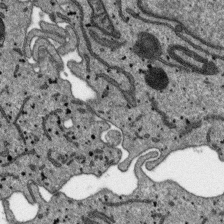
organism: Human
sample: Lung epithelial cells, uninfected (mock) control